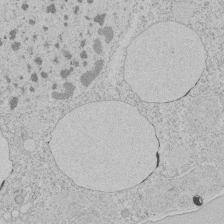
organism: Tetrahymena